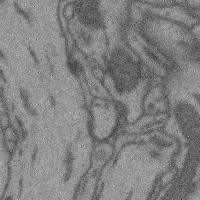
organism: Mouse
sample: Cerebral cortex